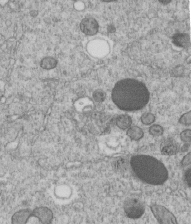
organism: C. elegans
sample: C. elegans embryo early stage